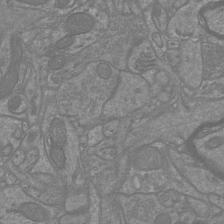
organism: Mouse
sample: Cortical neurons